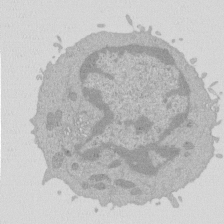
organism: Mouse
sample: Activated Pmel transgenic CD8+ T Cells